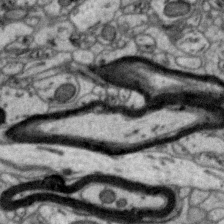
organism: Zebra finch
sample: Brain